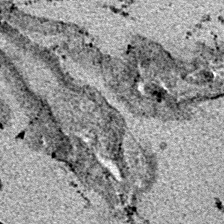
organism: E. coli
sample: E. Coli Bacteria